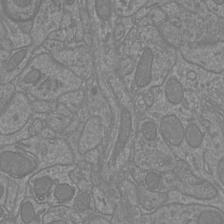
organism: Mouse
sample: Cortical neurons